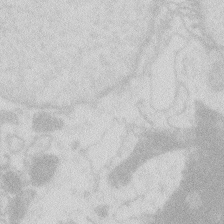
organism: Zebrafish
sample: Macrophage